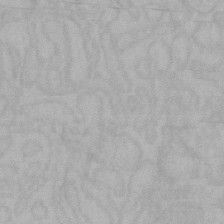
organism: Mouse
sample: Choroid plexus